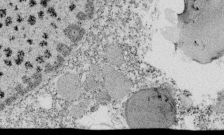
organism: Tetrahymena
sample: Cilia in tetrahymena